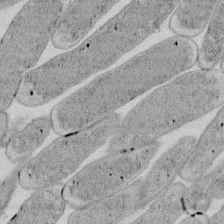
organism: E. coli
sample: Bacterial nucleoid